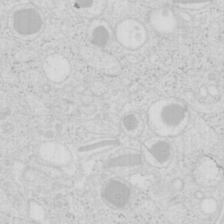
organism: Mouse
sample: Pancreas